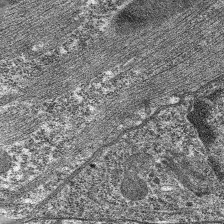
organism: C. elegans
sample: Pharynx